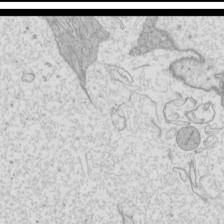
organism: Mouse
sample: Cilia; mouse epididymis